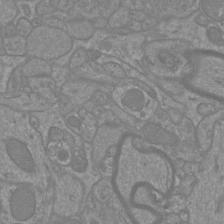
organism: Mouse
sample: Cortical neurons